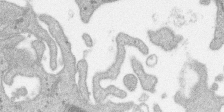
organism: Human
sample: Lung epithelial cells infected with SARS-CoV-2